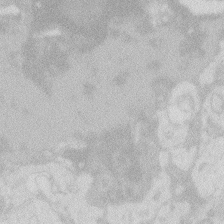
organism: Zebrafish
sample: Macrophage